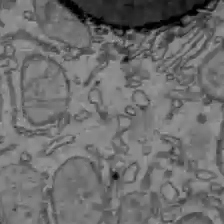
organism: C57BL Mouse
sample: Liver